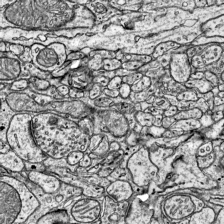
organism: Mouse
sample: Visual Cortex